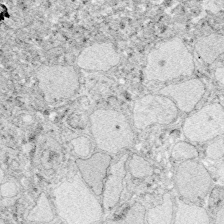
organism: Zebrafish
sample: Whole-Brain